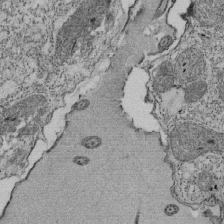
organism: Tetrahymena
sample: Cilia in tetrahymena